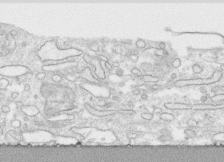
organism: Human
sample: CRL-1474